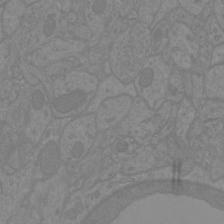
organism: Mouse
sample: Cortical neurons